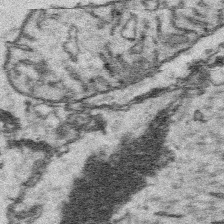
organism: Platynereis dumerilii